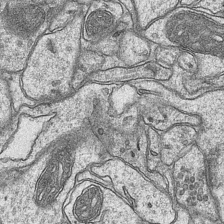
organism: Mouse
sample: CA1 Hippocampus